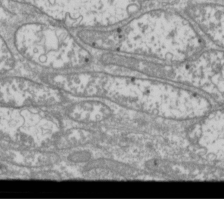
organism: Drosophila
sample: Cell division; meiosis; drosophila spermatocytes